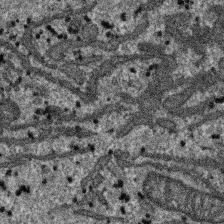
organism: Human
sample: Lung epithelial cells infected with SARS-CoV-2